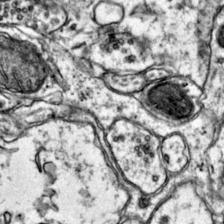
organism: Mouse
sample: Primary visual cortex